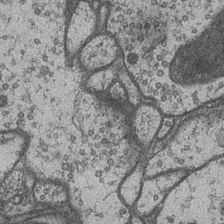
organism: Drosophila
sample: Optic medulla